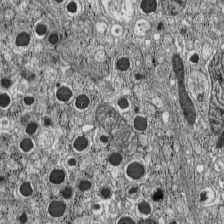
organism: C57BL Mouse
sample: Pancreatic islet